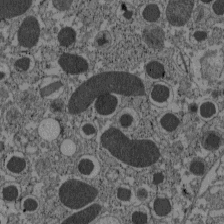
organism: C57BL Mouse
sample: Pancreatic islet